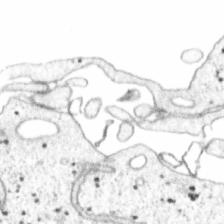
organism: Human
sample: HeLa cells